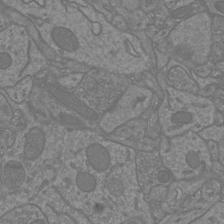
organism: Mouse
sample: Cortical neurons